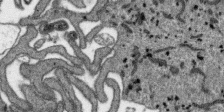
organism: Human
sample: Lung epithelial cells, uninfected (mock) control